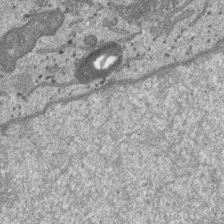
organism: Human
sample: Lung epithelial cells infected with SARS-CoV-2